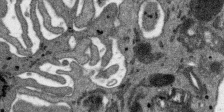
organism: Human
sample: Lung epithelial cells, uninfected (mock) control